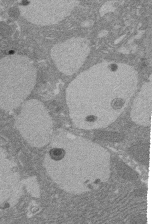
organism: Rat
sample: Salivary granule